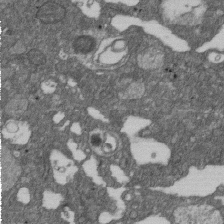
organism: Drosophila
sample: Nephrocyte